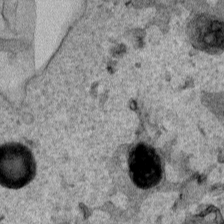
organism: Human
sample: Mitochondria in HCT116 cells